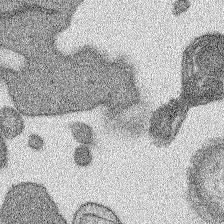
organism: Human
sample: HeLa cells